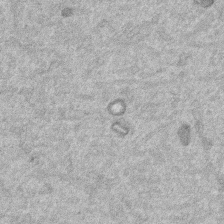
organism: Mouse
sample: Dividing mouse embryo 1 cell stage